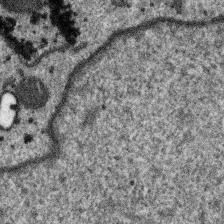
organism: Human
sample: Lung epithelial cells infected with SARS-CoV-2